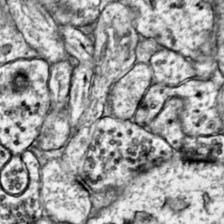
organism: Mouse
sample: Primary visual cortex